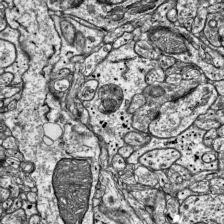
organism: Mouse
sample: Visual Cortex